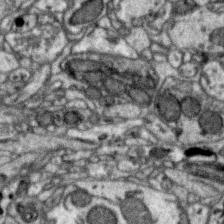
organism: Zebra finch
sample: Brain